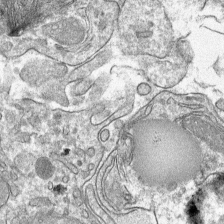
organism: Mouse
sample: Mouse hepatocytes